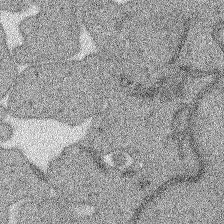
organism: Human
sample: HeLa cells